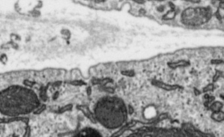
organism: Toxoplasma gondii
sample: Parasites in a vacuole inside a host cell